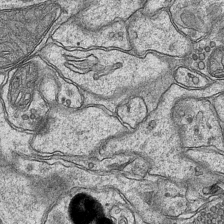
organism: Mouse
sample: CA1 Hippocampus